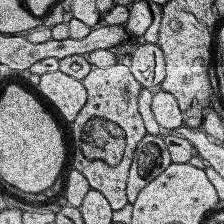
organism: Human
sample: Temporal Lobe